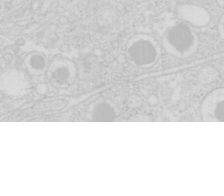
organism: Mouse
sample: Pancreas